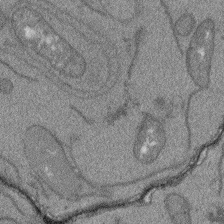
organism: Arabidopsis thaliana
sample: Root tip